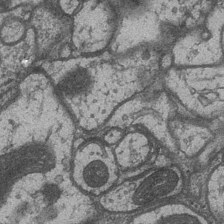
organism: Drosophila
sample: Optic medulla